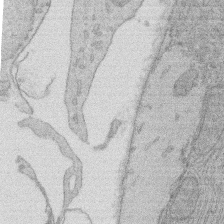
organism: Rat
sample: Salivary granule